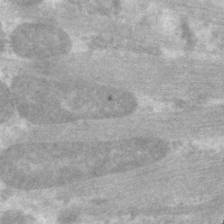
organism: C. elegans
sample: Pharynx